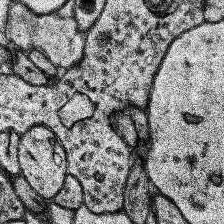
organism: Human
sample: Temporal Lobe